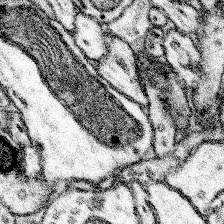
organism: Mouse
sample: Somatosensory cortex neuropil